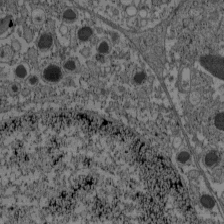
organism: C57BL Mouse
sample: Pancreatic islet